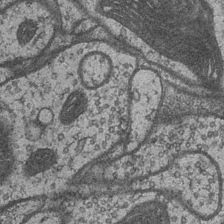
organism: Drosophila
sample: Optic medulla